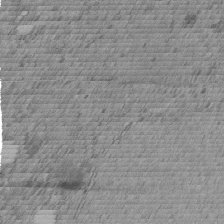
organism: C. elegans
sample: C. elegans embryo early stage